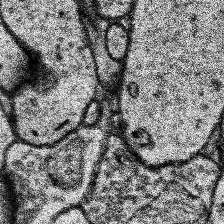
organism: Human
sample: Temporal Lobe